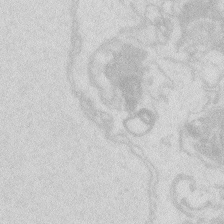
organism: Zebrafish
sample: Macrophage